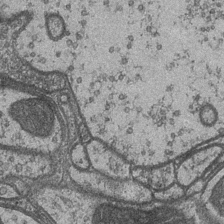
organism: Drosophila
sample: Optic medulla